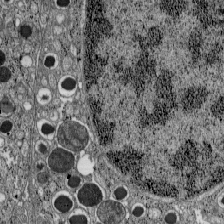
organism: C57BL Mouse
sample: Pancreatic islet